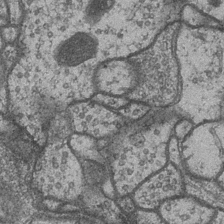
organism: Drosophila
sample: Optic medulla